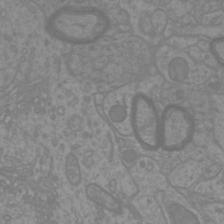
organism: Mouse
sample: Cortical neurons